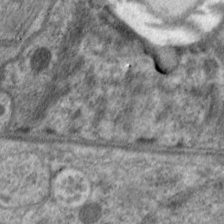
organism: C. elegans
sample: Pharynx